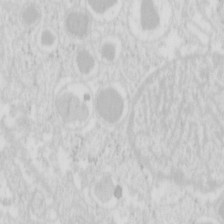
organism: Mouse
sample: Pancreas